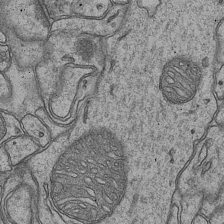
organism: Mouse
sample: CA1 Hippocampus